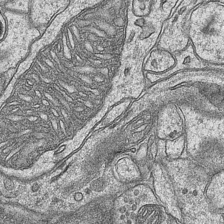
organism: Mouse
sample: CA1 Hippocampus